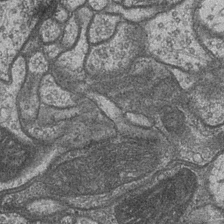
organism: Drosophila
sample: Optic medulla